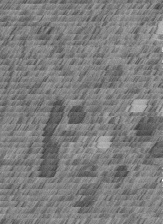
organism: C. elegans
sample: C. elegans embryo early stage